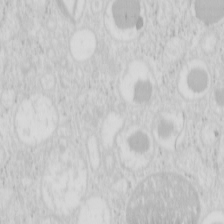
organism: Mouse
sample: Pancreas